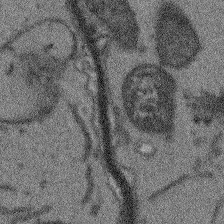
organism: Arabidopsis thaliana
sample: Root tip